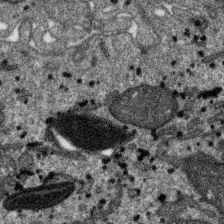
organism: Human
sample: Lung epithelial cells infected with SARS-CoV-2